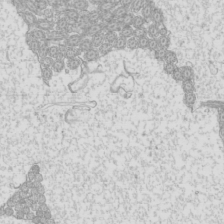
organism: Mouse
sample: Cilia; mouse epididymis